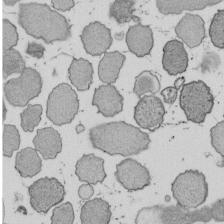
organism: E. coli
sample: Bacterial nucleoid